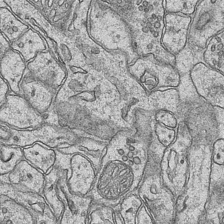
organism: Mouse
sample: CA1 Hippocampus